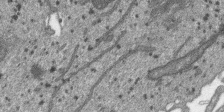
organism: Human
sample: Lung epithelial cells infected with SARS-CoV-2